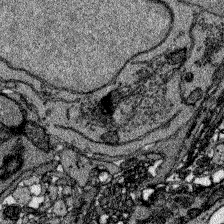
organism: Zebrafish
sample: Larval olfactory bulb